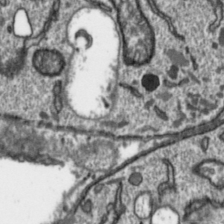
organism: Toxoplasma gondii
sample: Parasites in a vacuole inside a host cell